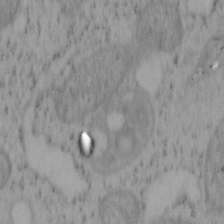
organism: Mouse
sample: OT-I killer T cells with ID8 ovarian cancer cells